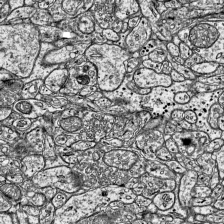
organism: Mouse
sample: Visual Cortex